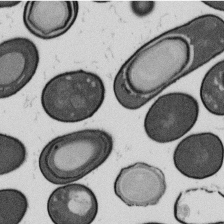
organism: B. subtilis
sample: Bacterial spore